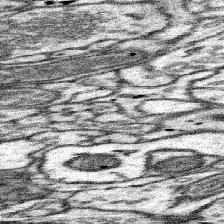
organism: Mouse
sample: Somatosensory cortex neuropil